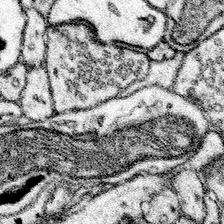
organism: Mouse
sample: Somatosensory cortex neuropil